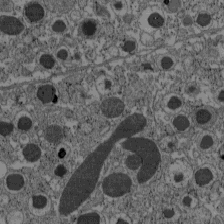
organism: C57BL Mouse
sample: Pancreatic islet